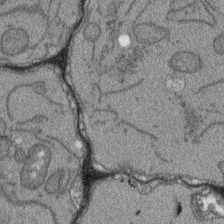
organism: Arabidopsis thaliana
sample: Root tip